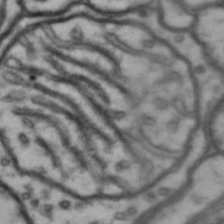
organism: Drosophila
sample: Brain